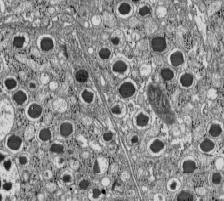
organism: C57BL Mouse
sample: Pancreatic islet